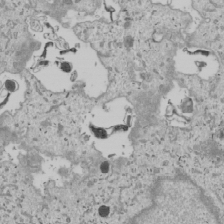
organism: Human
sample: Mitochondria in U2OS cells